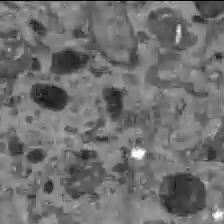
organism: C57BL Mouse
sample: Liver